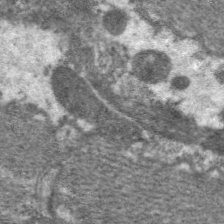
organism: C. elegans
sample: Pharynx